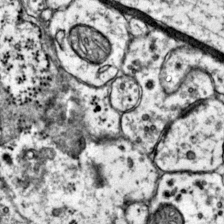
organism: Mouse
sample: Primary visual cortex